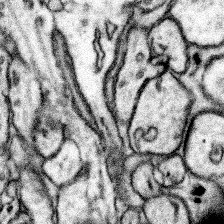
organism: Mouse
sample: Somatosensory cortex neuropil